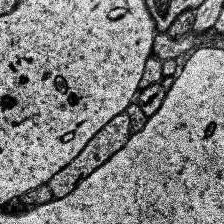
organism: Human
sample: Temporal Lobe